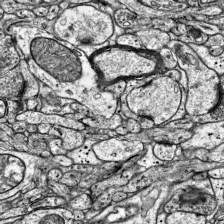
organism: Mouse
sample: Visual Cortex